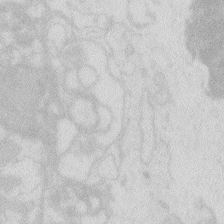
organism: Zebrafish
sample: Macrophage